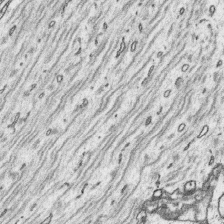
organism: Platynereis dumerilii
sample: Parapodia